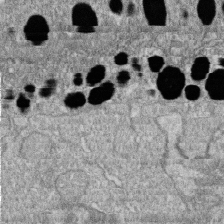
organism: Zebrafish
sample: Cilia; retinal pigment epithelium